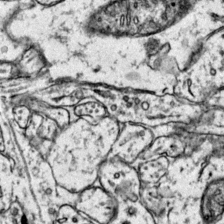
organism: Mouse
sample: Primary visual cortex